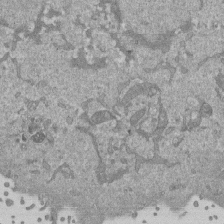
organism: Mouse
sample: ED-1 cell nuclei; centrioles